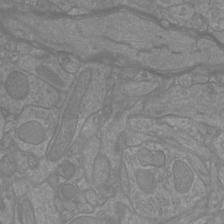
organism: Mouse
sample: Cortical neurons